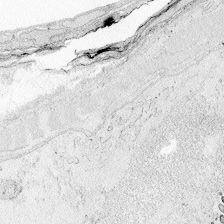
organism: Zebrafish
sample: Whole-Brain